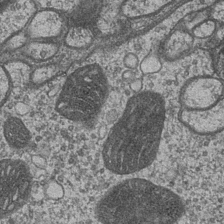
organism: Drosophila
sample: Optic medulla